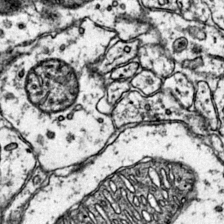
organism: Mouse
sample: Primary visual cortex